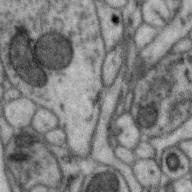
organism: Zebra finch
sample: Brain